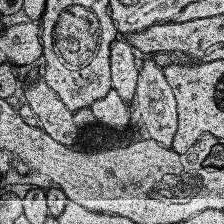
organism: Human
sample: Temporal Lobe